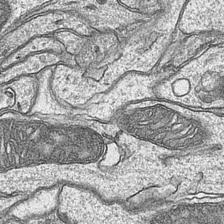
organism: Mouse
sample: CA1 Hippocampus